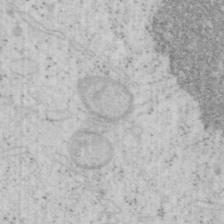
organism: Human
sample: HeLa cells